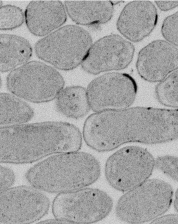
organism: E. coli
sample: Bacterial nucleoid